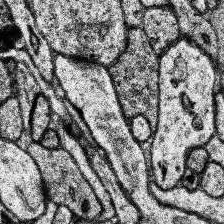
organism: Human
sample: Temporal Lobe